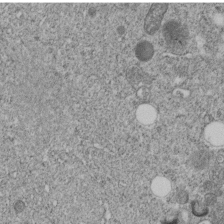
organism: C. elegans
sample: C. elegans embryo early stage